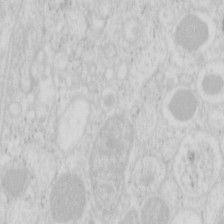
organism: Mouse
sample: Pancreas